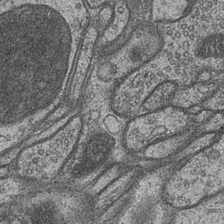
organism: Drosophila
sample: Optic medulla